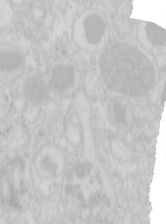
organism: Mouse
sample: Pancreas